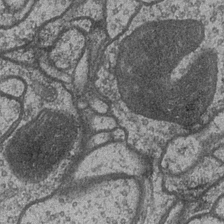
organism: Drosophila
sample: Optic medulla